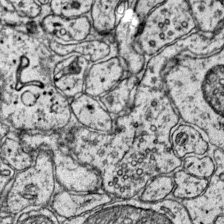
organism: Mouse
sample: Primary visual cortex